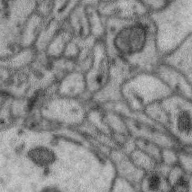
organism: Zebra finch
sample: Brain